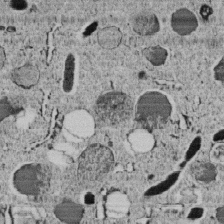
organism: C. elegans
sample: C. elegans embryo early stage